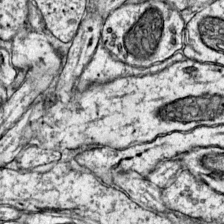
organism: Mouse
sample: Primary visual cortex